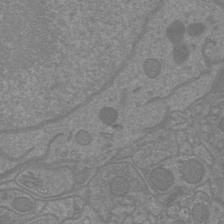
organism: Mouse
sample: Cortical neurons